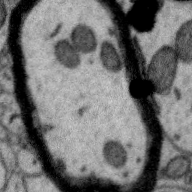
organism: Zebra finch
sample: Brain